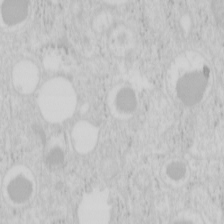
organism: Mouse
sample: Pancreas